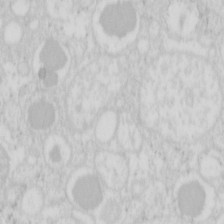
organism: Mouse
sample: Pancreas